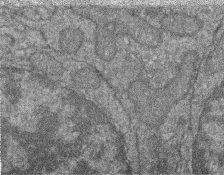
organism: Zebrafish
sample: Cilia; retinal pigment epithelium